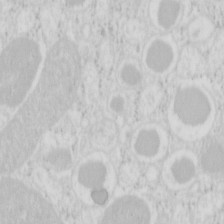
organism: Mouse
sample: Pancreas